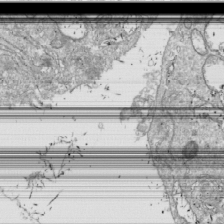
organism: Drosophila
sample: Cell division; meiosis; drosophila spermatocytes